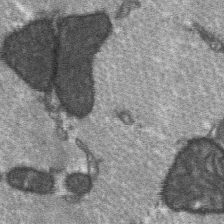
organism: C57BL Mouse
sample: Soleus